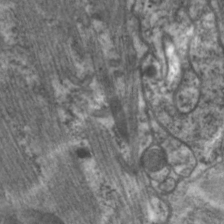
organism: C. elegans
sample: Pharynx